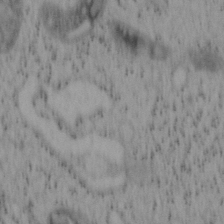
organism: Mouse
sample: OT-I killer T cells with ID8 ovarian cancer cells